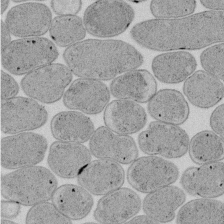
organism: E. coli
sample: Bacterial nucleoid